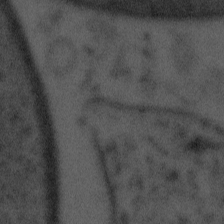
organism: Tuwongella immobilis